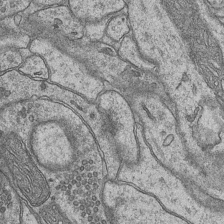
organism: Mouse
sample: CA1 Hippocampus